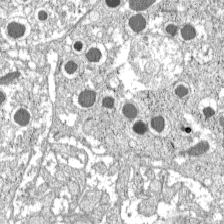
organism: C57BL Mouse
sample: Pancreatic islet